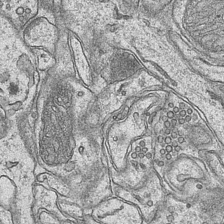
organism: Mouse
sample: CA1 Hippocampus